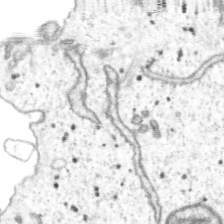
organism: Human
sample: HeLa cells